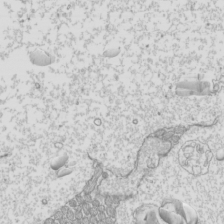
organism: Mouse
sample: Cilia; mouse epididymis